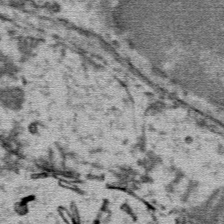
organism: Mouse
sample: Mouse Salivary gland